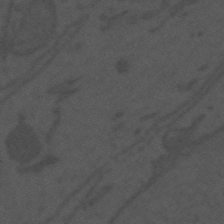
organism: Mouse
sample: Suprachiasmatic nucleus